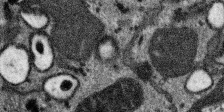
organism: Human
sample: Lung epithelial cells infected with SARS-CoV-2